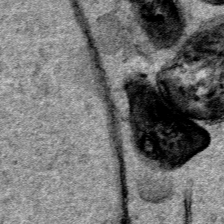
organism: Human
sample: Mitochondria in HCT116 cells